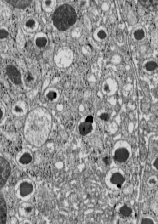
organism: C57BL Mouse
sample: Pancreatic islet